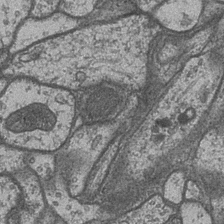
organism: Drosophila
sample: Optic medulla